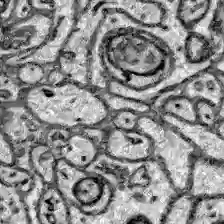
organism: Zebrafish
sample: Brain